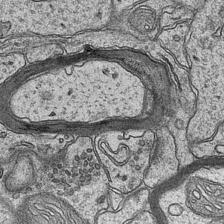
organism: Mouse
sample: CA1 Hippocampus